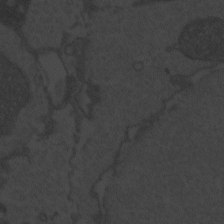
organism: Zebrafish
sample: Macrophage infected with Toxoplasma gondii